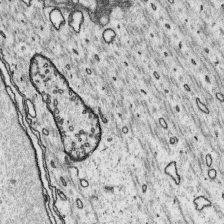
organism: Platynereis dumerilii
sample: Parapodia